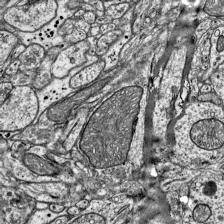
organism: Mouse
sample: Visual Cortex